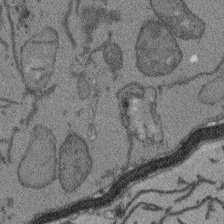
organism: Arabidopsis thaliana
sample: Root tip